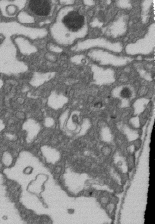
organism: Drosophila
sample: Nephrocyte